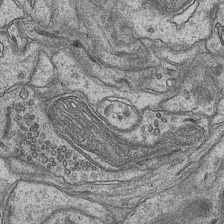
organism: Mouse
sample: CA1 Hippocampus